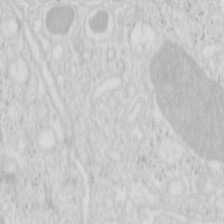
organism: Mouse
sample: Pancreas